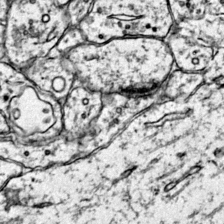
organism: Mouse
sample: Primary visual cortex